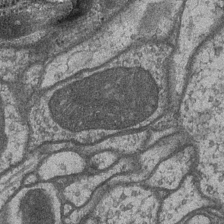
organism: Drosophila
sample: Optic medulla